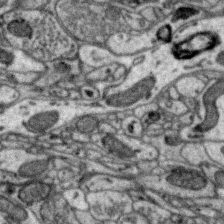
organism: Zebra finch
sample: Brain